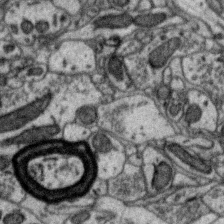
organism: Zebra finch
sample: Brain